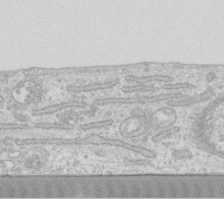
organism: Human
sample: Fibroblast cells